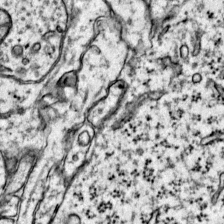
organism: Mouse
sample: Primary visual cortex